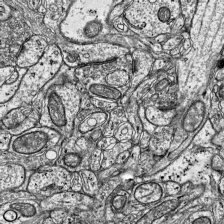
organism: Mouse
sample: Visual Cortex